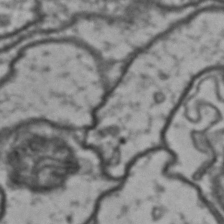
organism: Drosophila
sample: Brain